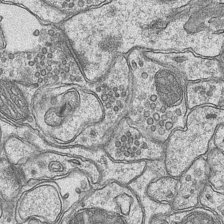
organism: Mouse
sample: CA1 Hippocampus